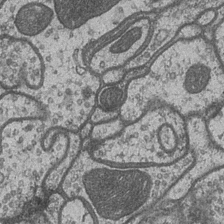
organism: Drosophila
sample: Optic medulla